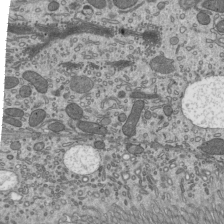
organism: Mouse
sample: Mouse epididymis efferent ductule cilia